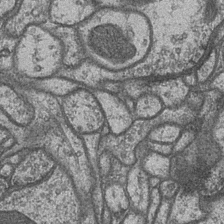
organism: Drosophila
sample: Optic medulla